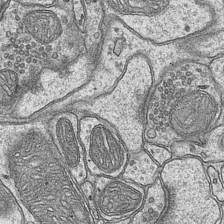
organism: Mouse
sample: CA1 Hippocampus